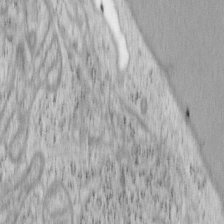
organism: Human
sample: HeLa cells